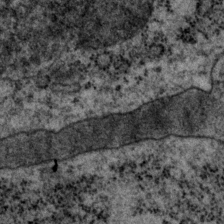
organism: P. pacificus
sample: Pharynx